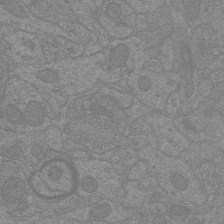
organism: Mouse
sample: Cortical neurons